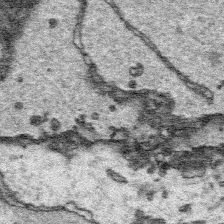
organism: Platynereis dumerilii